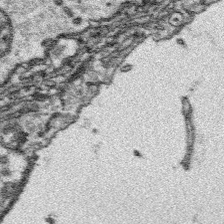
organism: Platynereis dumerilii